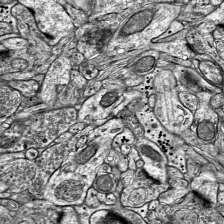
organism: Mouse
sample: Visual Cortex